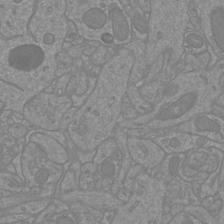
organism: Mouse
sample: Cortical neurons